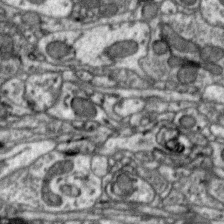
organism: Zebra finch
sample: Brain